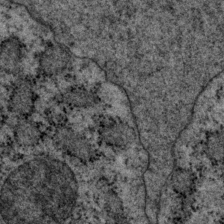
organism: P. pacificus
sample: Pharynx